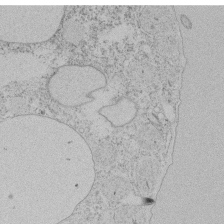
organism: Tetrahymena